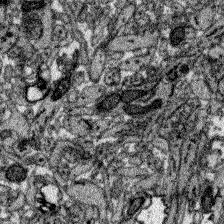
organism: Zebrafish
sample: Larval olfactory bulb